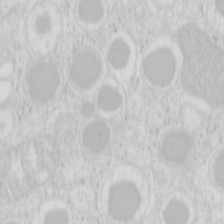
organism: Mouse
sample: Pancreas